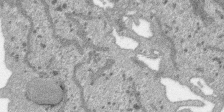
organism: Human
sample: Lung epithelial cells infected with SARS-CoV-2